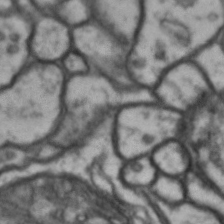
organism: Drosophila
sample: Brain